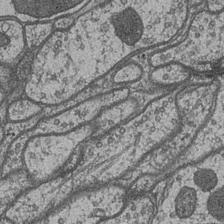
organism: Drosophila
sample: Optic medulla